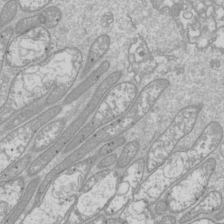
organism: Drosophila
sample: Cell division; meiosis; drosophila spermatocytes